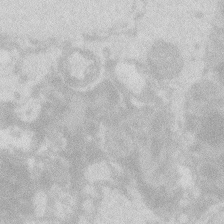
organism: Zebrafish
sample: Macrophage